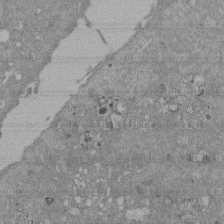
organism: Mouse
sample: ED-1 cell nuclei; centrioles